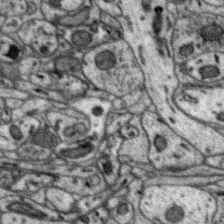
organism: Zebra finch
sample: Brain